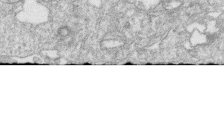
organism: Human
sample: HeLa cell HIV synapse